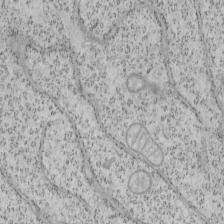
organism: Mouse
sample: OT-I killer T cells with ID8 ovarian cancer cells